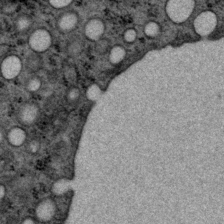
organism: P. pacificus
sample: Pharynx